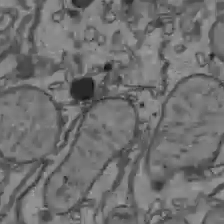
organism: C57BL Mouse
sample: Liver